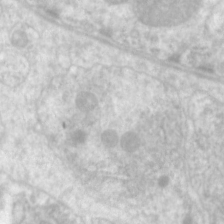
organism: C. elegans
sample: Pharynx